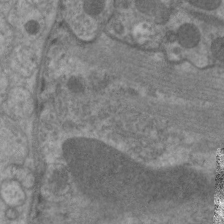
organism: C. elegans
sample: Pharynx